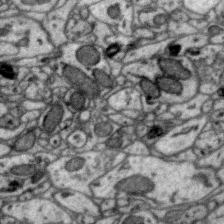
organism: Zebra finch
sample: Brain